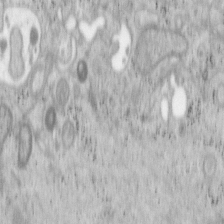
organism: Human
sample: HeLa cells